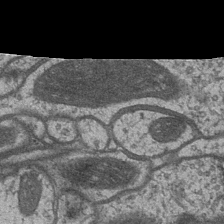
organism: Drosophila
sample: Optic medulla